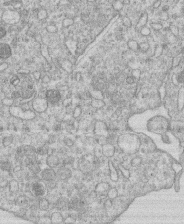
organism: Human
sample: Macrophage cells